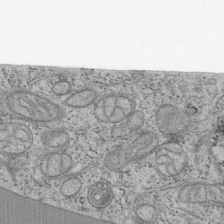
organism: Human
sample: HeLa cells